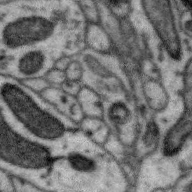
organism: Zebra finch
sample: Brain